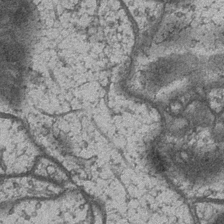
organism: Drosophila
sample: Optic medulla